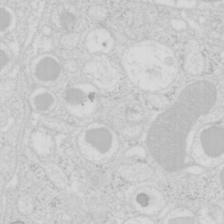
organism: Mouse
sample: Pancreas